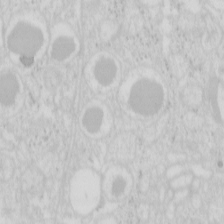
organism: Mouse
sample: Pancreas